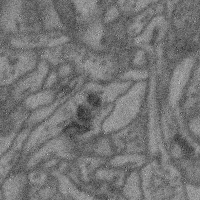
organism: Mouse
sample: Cerebral cortex